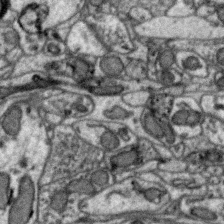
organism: Zebra finch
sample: Brain